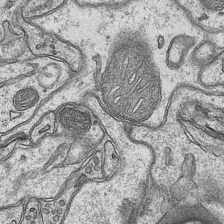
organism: Mouse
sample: CA1 Hippocampus